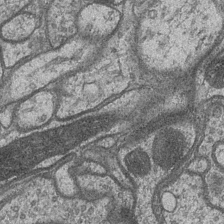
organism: Drosophila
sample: Optic medulla